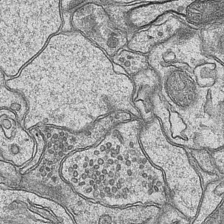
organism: Mouse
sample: CA1 Hippocampus